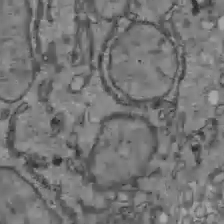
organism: C57BL Mouse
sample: Liver